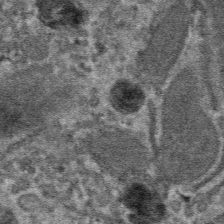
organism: Mouse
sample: Mouse hepatocytes